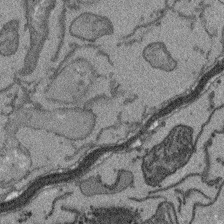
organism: Arabidopsis thaliana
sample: Root tip